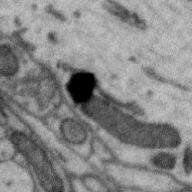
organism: Zebra finch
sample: Brain